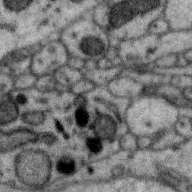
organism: Zebra finch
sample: Brain